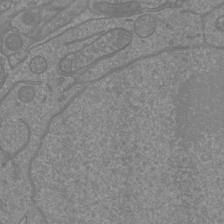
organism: Mouse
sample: Cortical neurons